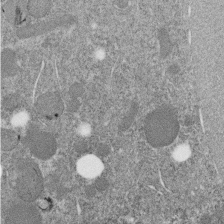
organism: C. elegans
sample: C. elegans embryo early stage